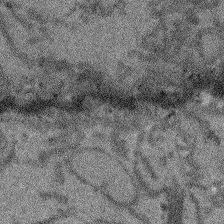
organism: Arabidopsis thaliana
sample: Root tip